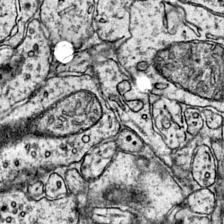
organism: Mouse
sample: Primary visual cortex